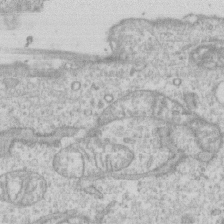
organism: Human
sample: CRL-1474